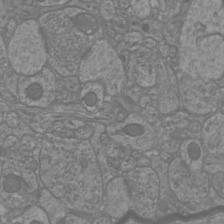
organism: Mouse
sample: Cortical neurons